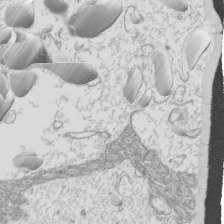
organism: Mouse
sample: Cilia; mouse epididymis